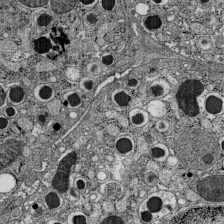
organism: C57BL Mouse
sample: Pancreatic islet